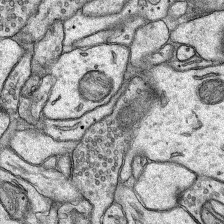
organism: Rat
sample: Hippocampus